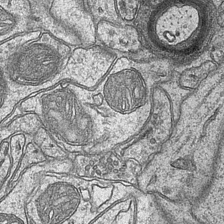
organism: Mouse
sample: CA1 Hippocampus